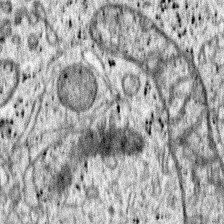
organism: Human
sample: HeLa cells